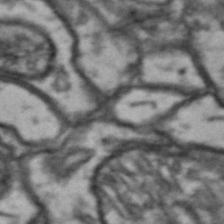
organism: Drosophila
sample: Brain